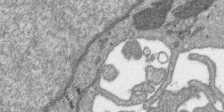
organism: Human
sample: Lung epithelial cells infected with SARS-CoV-2